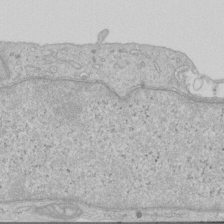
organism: Human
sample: Centriole in RPE cells